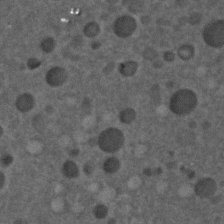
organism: C. elegans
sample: C. elegans embryo